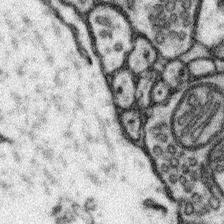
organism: Mouse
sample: Somatosensory cortex neuropil